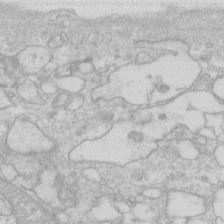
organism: Human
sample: Fibroblast cells